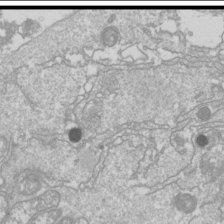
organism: Drosophila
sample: Cell division; meiosis; drosophila spermatocytes